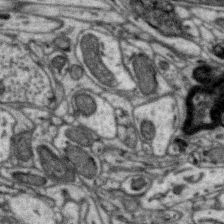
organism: Zebra finch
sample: Brain